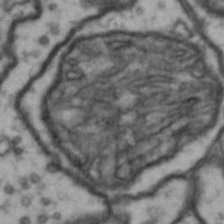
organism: Drosophila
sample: Brain